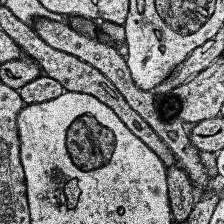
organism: Human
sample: Temporal Lobe